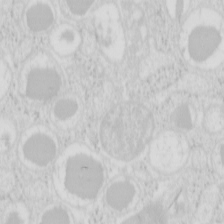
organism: Mouse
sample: Pancreas